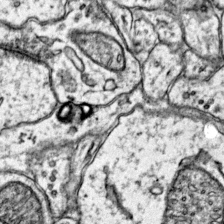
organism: Mouse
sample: Primary visual cortex